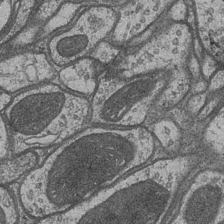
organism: Drosophila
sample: Optic medulla